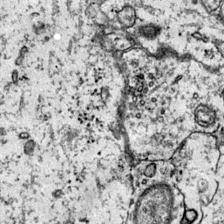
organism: Mouse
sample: Primary visual cortex